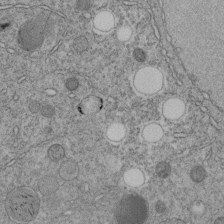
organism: C. elegans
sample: C. elegans embryo early stage